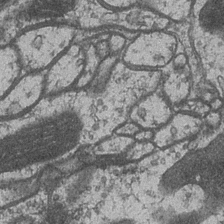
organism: Drosophila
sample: Optic medulla